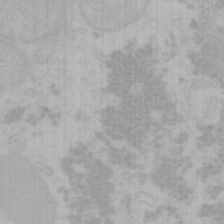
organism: Mouse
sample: Choroid plexus